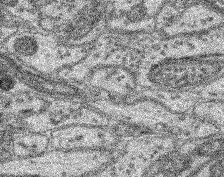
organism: Mouse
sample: Retina